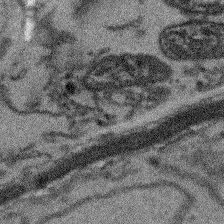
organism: Arabidopsis thaliana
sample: Root tip